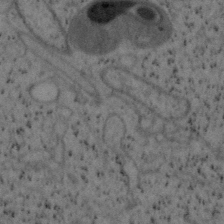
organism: Human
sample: HeLa cells